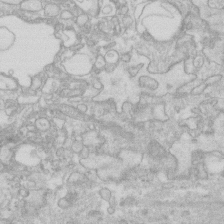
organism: Human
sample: Fibroblast cells